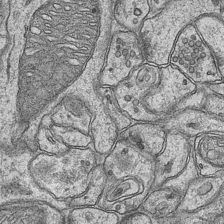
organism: Mouse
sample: CA1 Hippocampus